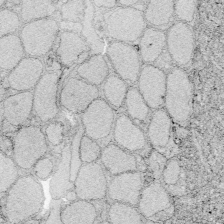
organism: Zebrafish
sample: Whole-Brain